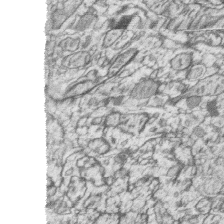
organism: Zebrafish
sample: synaptic ribbons in rod cells and cone cells